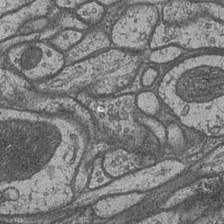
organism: Drosophila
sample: Optic medulla